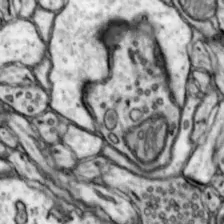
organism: Mouse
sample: Nucleus accumbens